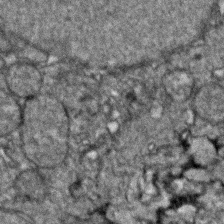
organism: Zebrafish